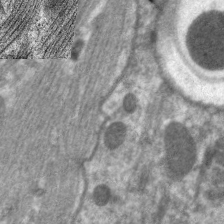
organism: C. elegans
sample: Pharynx